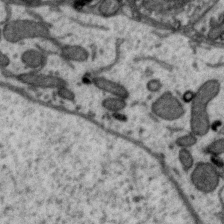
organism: Zebra finch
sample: Brain